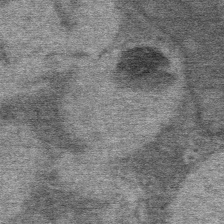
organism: Mouse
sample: Mouse Salivary gland